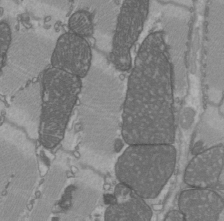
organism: C57BL Mouse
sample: Heart